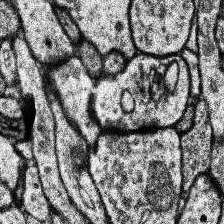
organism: Human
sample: Temporal Lobe